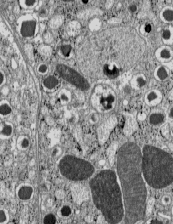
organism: C57BL Mouse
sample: Pancreatic islet